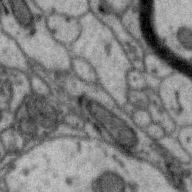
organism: Zebra finch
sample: Brain